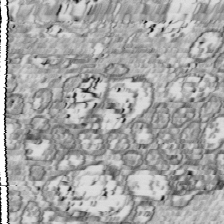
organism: Drosophila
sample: Cell division; meiosis; drosophila spermatocytes